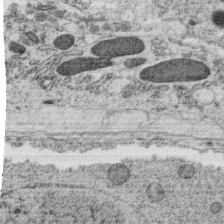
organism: C. elegans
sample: C. elegans oocyte; sperm cells